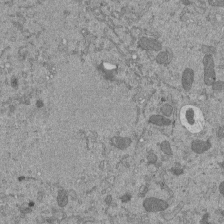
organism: Mouse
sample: ED-1 cell nuclei; centrioles